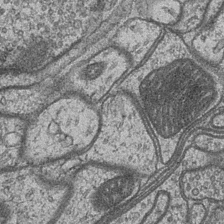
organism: Drosophila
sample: Optic medulla